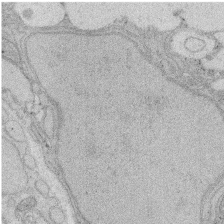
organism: Rat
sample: Salivary granule